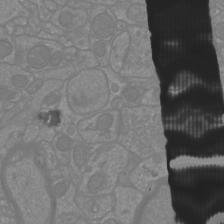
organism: Mouse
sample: Cortical neurons